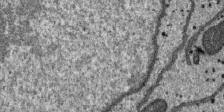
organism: Human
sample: Lung epithelial cells, uninfected (mock) control